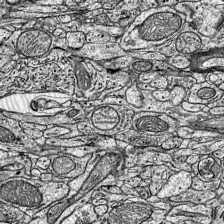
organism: Mouse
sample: Visual Cortex